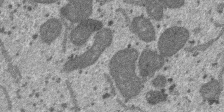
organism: Human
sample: Lung epithelial cells infected with SARS-CoV-2